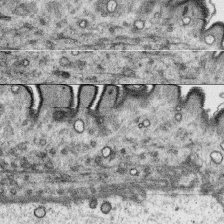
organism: Platynereis dumerilii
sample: Parapodia